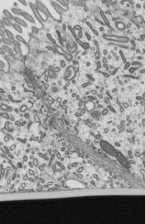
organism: Mouse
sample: Mouse epididymis efferent ductule cilia